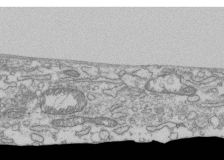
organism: Human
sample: Fibroblast cells